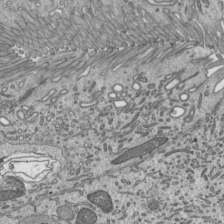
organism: Mouse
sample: Mouse epididymis efferent ductule cilia